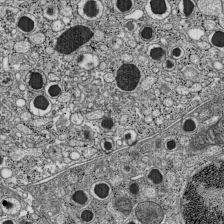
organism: C57BL Mouse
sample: Pancreatic islet